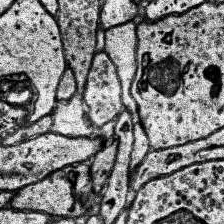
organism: Human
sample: Temporal Lobe